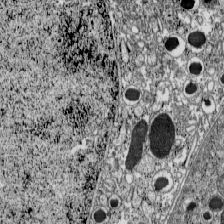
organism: C57BL Mouse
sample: Pancreatic islet